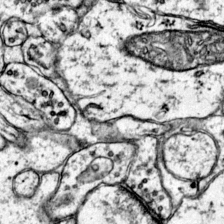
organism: Mouse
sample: Primary visual cortex